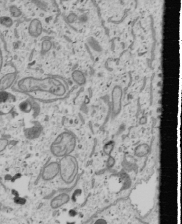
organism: Human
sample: Mitochondria in U2OS cells